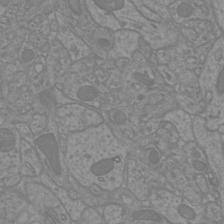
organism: Mouse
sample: Cortical neurons